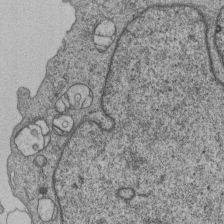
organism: Human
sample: MDA-MB-231 cells